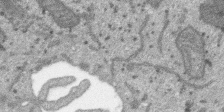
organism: Human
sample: Lung epithelial cells infected with SARS-CoV-2